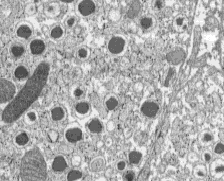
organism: C57BL Mouse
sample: Pancreatic islet